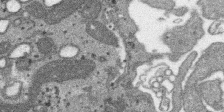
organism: Human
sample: Lung epithelial cells infected with SARS-CoV-2